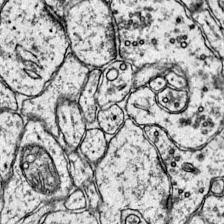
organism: Mouse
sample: Primary visual cortex